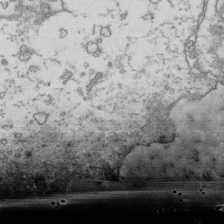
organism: Human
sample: Activated Jurkat CD4+ T cells